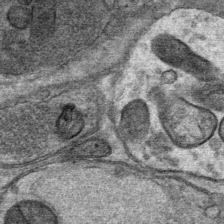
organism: Mouse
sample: Mouse Salivary gland